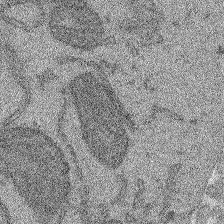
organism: Human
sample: HeLa cells